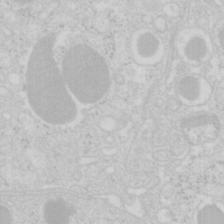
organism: Mouse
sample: Pancreas